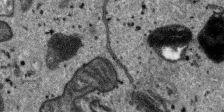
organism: Human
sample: Lung epithelial cells, uninfected (mock) control